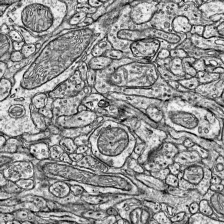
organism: Mouse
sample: Visual Cortex